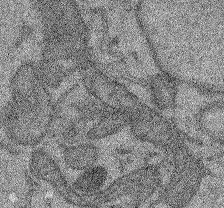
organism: Human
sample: HeLa cells